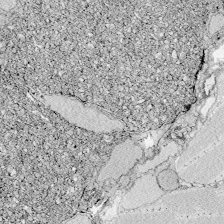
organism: Zebrafish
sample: Whole-Brain